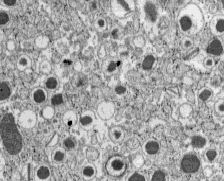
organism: C57BL Mouse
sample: Pancreatic islet